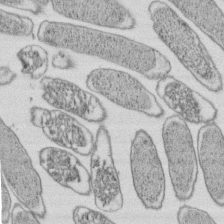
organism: E. coli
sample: Bacterial nucleoid